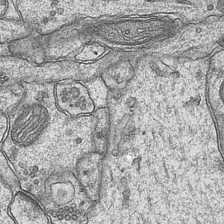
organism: Mouse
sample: CA1 Hippocampus